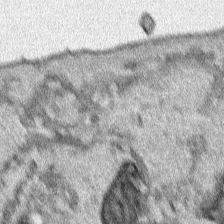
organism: Human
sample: Mitochondria in HCT116 cells